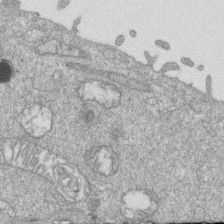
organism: Human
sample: HeLa cell HIV synapse